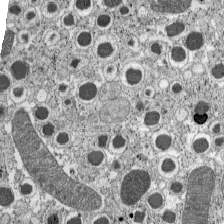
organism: C57BL Mouse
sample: Pancreatic islet